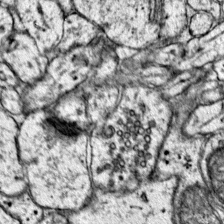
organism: Mouse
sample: Primary visual cortex